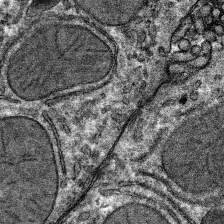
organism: Mouse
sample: Mouse hepatocytes